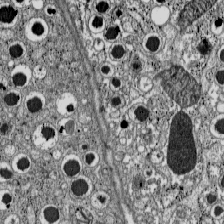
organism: C57BL Mouse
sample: Pancreatic islet